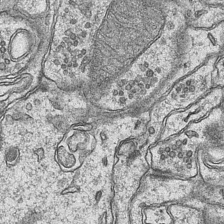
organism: Mouse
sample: CA1 Hippocampus